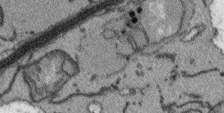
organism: Arabidopsis thaliana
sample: Root tip